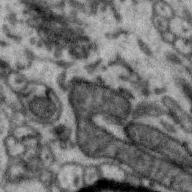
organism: Zebra finch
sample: Brain